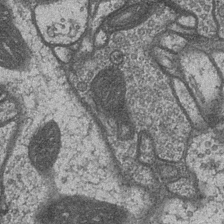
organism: Drosophila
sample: Optic medulla